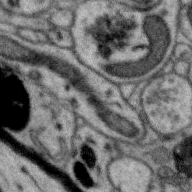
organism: Zebra finch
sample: Brain